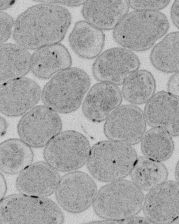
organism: E. coli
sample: Bacterial nucleoid